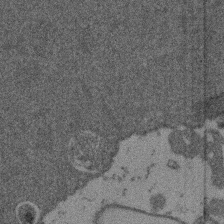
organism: Mouse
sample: Dividing mouse embryo 1 cell stage